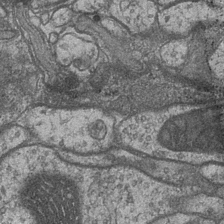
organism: Drosophila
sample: Optic medulla